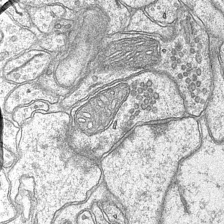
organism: Mouse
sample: CA1 Hippocampus